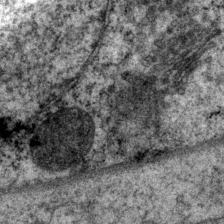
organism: P. pacificus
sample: Pharynx